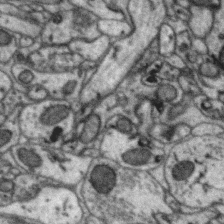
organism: Zebra finch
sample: Brain